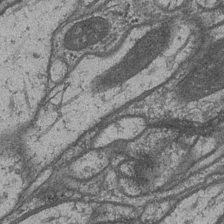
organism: Drosophila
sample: Optic medulla